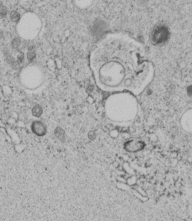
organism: C. elegans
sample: C. elegans embryo early stage